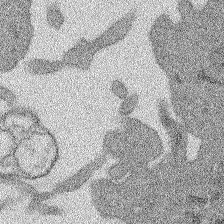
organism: Human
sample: HeLa cells